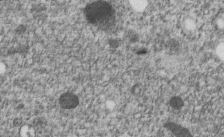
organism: C. elegans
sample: C. elegans embryo early stage